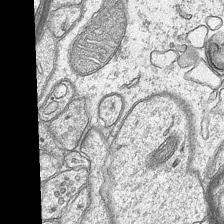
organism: Mouse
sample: CA1 Hippocampus